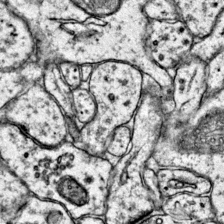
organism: Mouse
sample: Primary visual cortex